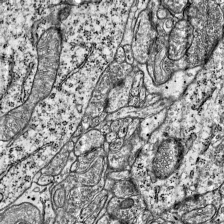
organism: Mouse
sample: Visual Cortex